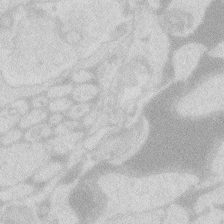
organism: Zebrafish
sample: Macrophage